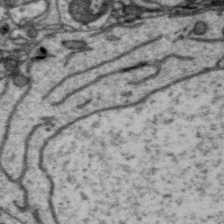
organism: Zebra finch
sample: Brain